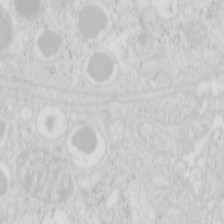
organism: Mouse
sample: Pancreas